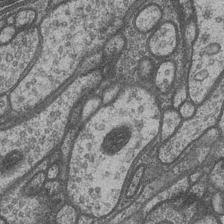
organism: Drosophila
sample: Optic medulla